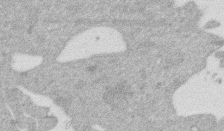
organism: Mouse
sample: Dividing mouse embryo 1 cell stage